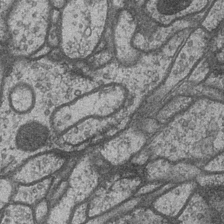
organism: Drosophila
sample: Optic medulla